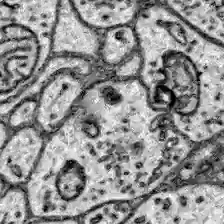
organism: Zebrafish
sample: Brain